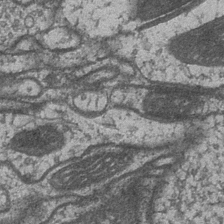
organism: Drosophila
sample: Optic medulla